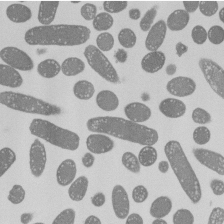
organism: E. coli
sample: Bacterial nucleoid